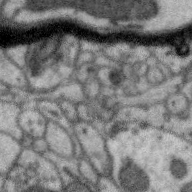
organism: Zebra finch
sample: Brain